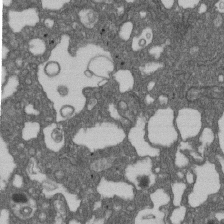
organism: Drosophila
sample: Nephrocyte